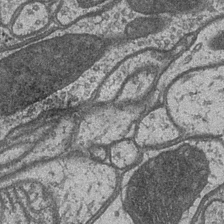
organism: Drosophila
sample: Optic medulla